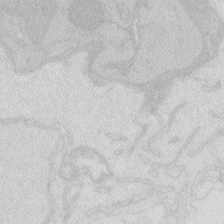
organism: Zebrafish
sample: Macrophage